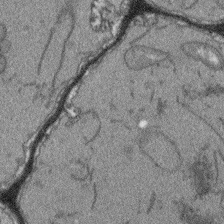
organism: Arabidopsis thaliana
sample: Root tip